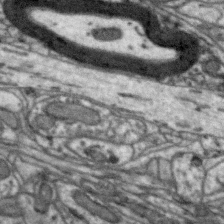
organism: Zebra finch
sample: Brain